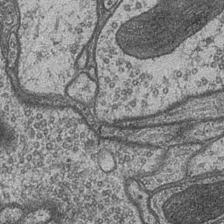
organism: Drosophila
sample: Optic medulla